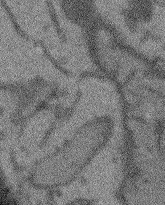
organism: Arabidopsis thaliana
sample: Root tip